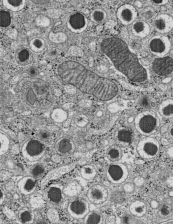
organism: C57BL Mouse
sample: Pancreatic islet